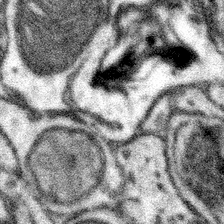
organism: Mouse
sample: Somatosensory cortex neuropil